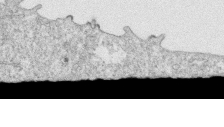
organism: Human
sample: HeLa cell HIV synapse